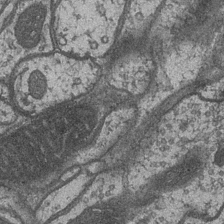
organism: Drosophila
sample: Optic medulla